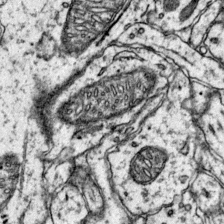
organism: Mouse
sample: Primary visual cortex